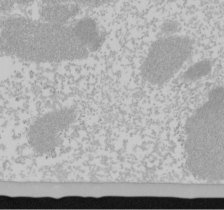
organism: Mouse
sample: Cancer cell death in ED-1 cells